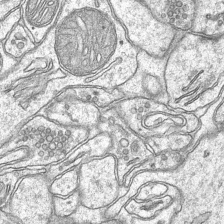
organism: Mouse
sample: CA1 Hippocampus